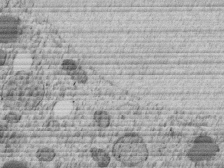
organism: C. elegans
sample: C. elegans embryo early stage